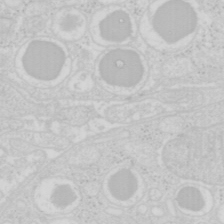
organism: Mouse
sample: Pancreas